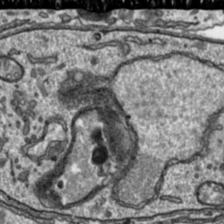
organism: Toxoplasma gondii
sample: Parasites in a vacuole inside a host cell